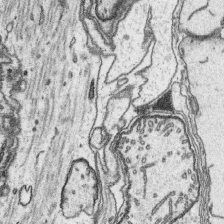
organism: Platynereis dumerilii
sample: Parapodia